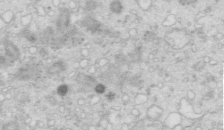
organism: Mouse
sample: Multiciliated cells